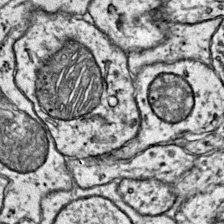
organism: Mouse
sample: Primary visual cortex